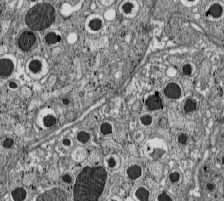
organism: C57BL Mouse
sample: Pancreatic islet